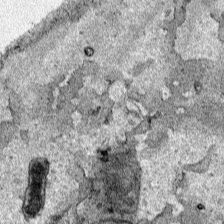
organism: Human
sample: Mitochondria in HCT116 cells